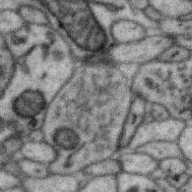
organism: Zebra finch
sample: Brain